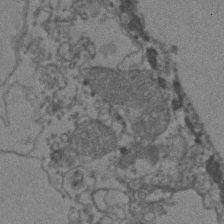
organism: Zebrafish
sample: Zebrafish embryo